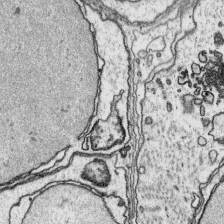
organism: Platynereis dumerilii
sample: Parapodia